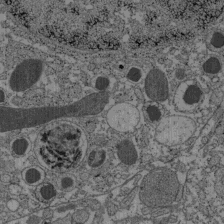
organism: C57BL Mouse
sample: Pancreatic islet